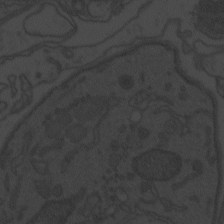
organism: Zebrafish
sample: Macrophage infected with Toxoplasma gondii